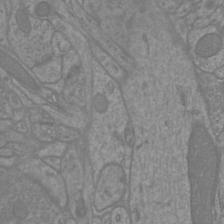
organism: Mouse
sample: Cortical neurons